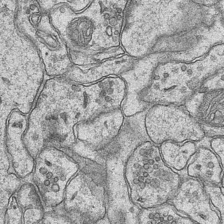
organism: Mouse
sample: CA1 Hippocampus